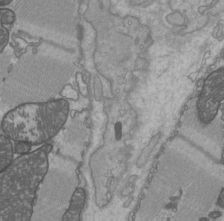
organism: C57BL Mouse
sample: Heart